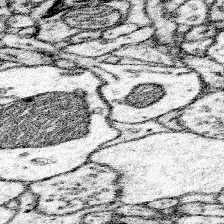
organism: Mouse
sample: Somatosensory cortex neuropil